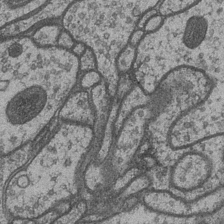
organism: Drosophila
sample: Optic medulla